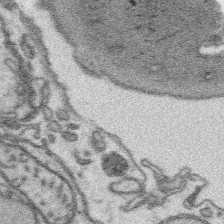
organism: Platynereis dumerilii